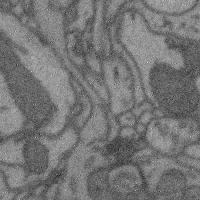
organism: Mouse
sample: Cerebral cortex